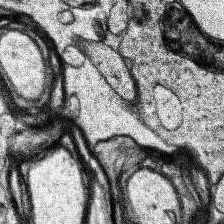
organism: Human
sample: Temporal Lobe